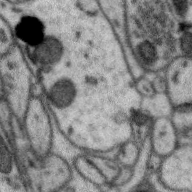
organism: Zebra finch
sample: Brain